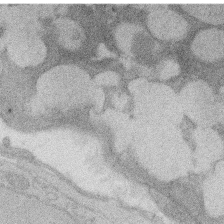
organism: Rat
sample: Salivary granule